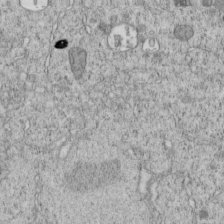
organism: C. elegans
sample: C. elegans embryo early stage